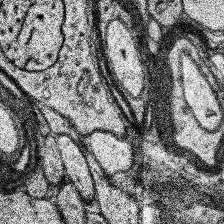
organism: Human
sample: Temporal Lobe